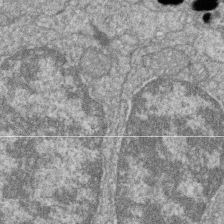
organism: Zebrafish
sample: Cilia; retinal pigment epithelium